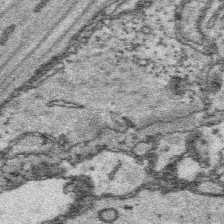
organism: Platynereis dumerilii